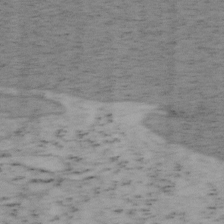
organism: Mouse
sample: OT-I killer T cells with ID8 ovarian cancer cells